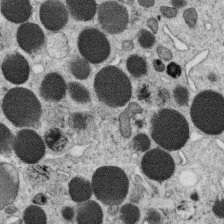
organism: C. elegans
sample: C. elegans oocyte; sperm cells